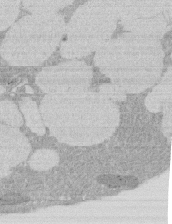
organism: Rat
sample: Salivary granule